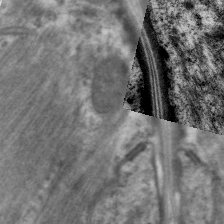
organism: C. elegans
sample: Pharynx